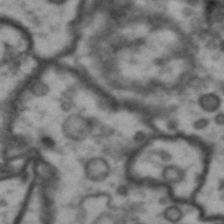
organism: Drosophila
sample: Brain